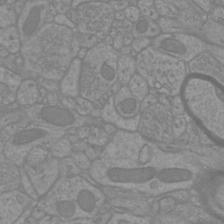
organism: Mouse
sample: Cortical neurons